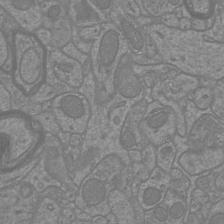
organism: Mouse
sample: Cortical neurons